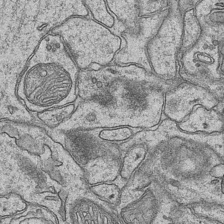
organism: Mouse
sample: CA1 Hippocampus